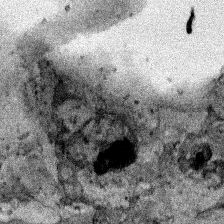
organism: Human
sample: Mitochondria in HCT116 cells